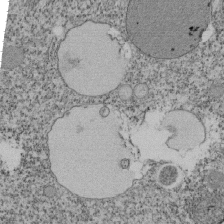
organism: Tetrahymena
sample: Cilia in tetrahymena